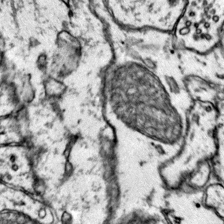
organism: Mouse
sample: Primary visual cortex